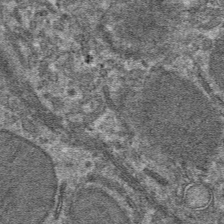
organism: Mouse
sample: Mouse hepatocytes